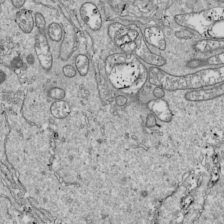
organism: Drosophila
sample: Cell division; meiosis; drosophila spermatocytes